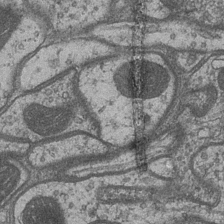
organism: Drosophila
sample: Optic medulla